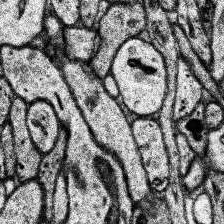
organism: Human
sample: Temporal Lobe